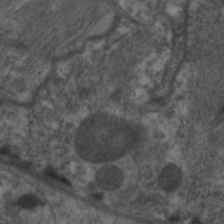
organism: C. elegans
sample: Pharynx